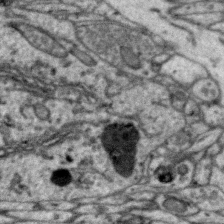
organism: Zebra finch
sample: Brain